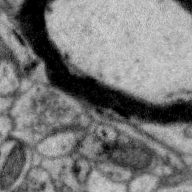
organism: Zebra finch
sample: Brain